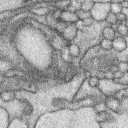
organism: Rabbit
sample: Retina